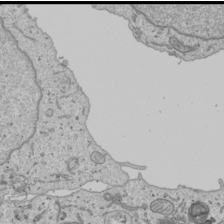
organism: Human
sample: Mitochondria in U2OS cells